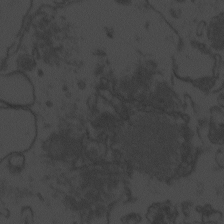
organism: Zebrafish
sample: Macrophage infected with Toxoplasma gondii